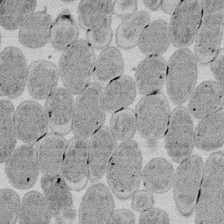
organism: E. coli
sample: Bacterial nucleoid